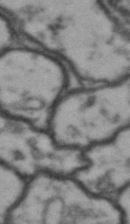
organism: Drosophila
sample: Brain